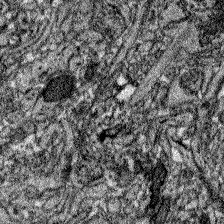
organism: Zebrafish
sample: Larval olfactory bulb